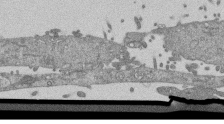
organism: Mouse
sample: ED-1 cell nuclei; centrioles